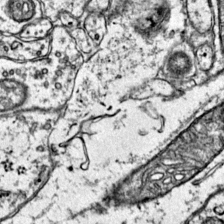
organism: Mouse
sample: Primary visual cortex